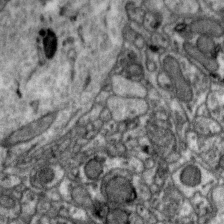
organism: Zebra finch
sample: Brain